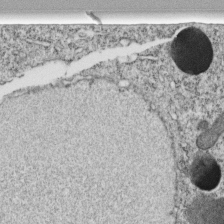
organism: C. elegans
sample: C. elegans embryo early stage